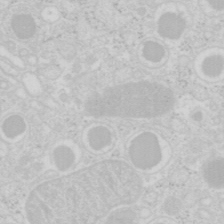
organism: Mouse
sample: Pancreas